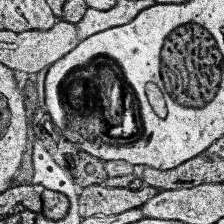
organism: Human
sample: Temporal Lobe